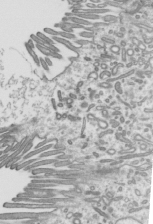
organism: Mouse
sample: Mouse epididymis efferent ductule cilia